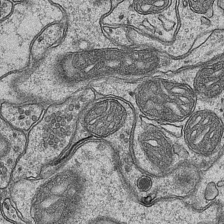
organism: Mouse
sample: CA1 Hippocampus